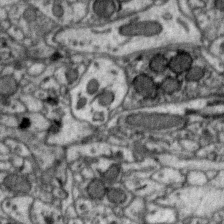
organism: Zebra finch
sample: Brain